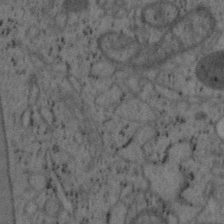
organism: Human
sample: HeLa cells